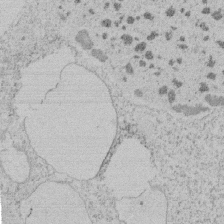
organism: Tetrahymena